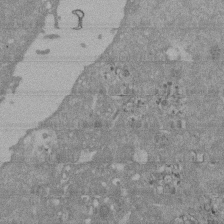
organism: Mouse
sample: ED-1 cell nuclei; centrioles